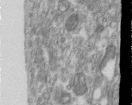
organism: Human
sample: Centriole in RPE cells